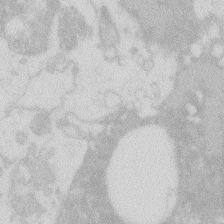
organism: Zebrafish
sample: Macrophage